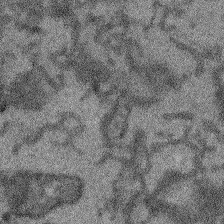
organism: Arabidopsis thaliana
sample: Root tip